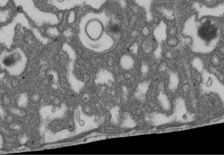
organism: Drosophila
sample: Nephrocyte